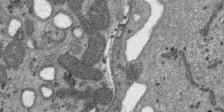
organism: Human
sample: Lung epithelial cells infected with SARS-CoV-2